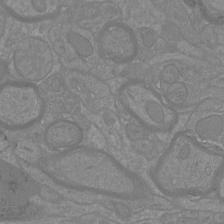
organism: Mouse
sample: Cortical neurons